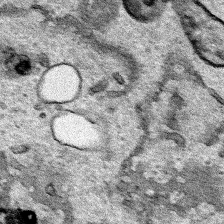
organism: Human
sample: Mitochondria in HCT116 cells